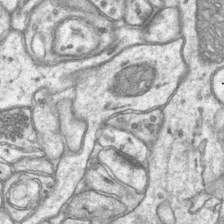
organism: Mouse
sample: CA1 Hippocampus